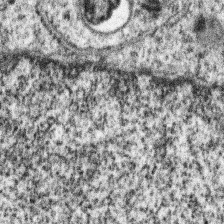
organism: Human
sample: HeLa cells